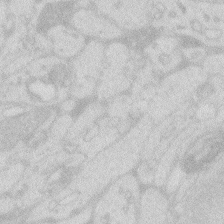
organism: Zebrafish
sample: Macrophage